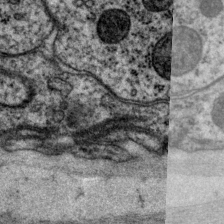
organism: P. pacificus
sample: Pharynx